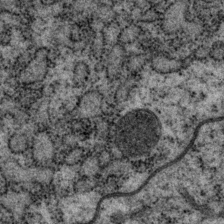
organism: P. pacificus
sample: Pharynx